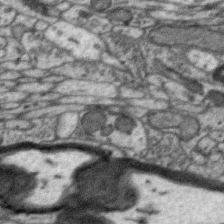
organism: Zebra finch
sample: Brain